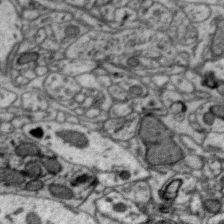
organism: Zebra finch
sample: Brain